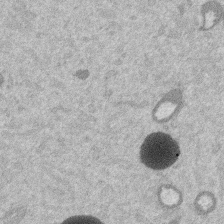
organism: Mouse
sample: Dividing mouse embryo 1 cell stage